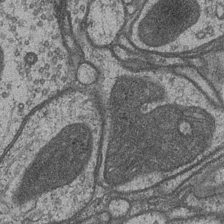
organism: Drosophila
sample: Optic medulla